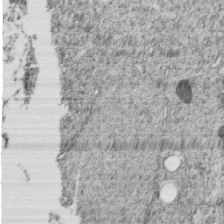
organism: C. elegans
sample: C. elegans embryo early stage